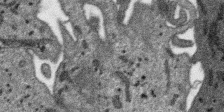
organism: Human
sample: Lung epithelial cells infected with SARS-CoV-2